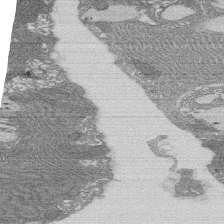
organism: Rat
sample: Salivary granule